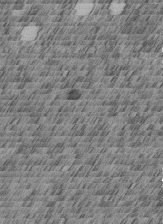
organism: C. elegans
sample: C. elegans embryo early stage